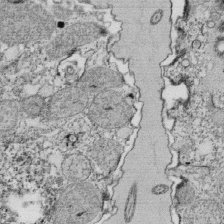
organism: Tetrahymena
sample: Cilia in tetrahymena